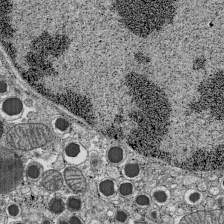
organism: C57BL Mouse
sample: Pancreatic islet